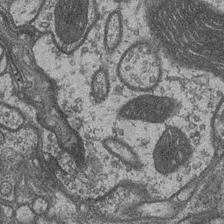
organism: Drosophila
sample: Optic medulla